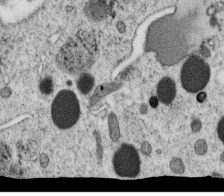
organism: C. elegans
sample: C. elegans oocyte; sperm cells